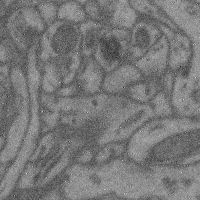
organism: Mouse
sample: Cerebral cortex